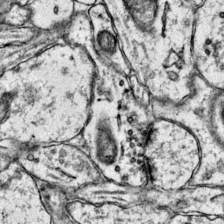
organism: Mouse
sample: Primary visual cortex